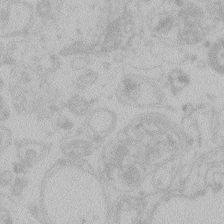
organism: Zebrafish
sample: Macrophage infected with Toxoplasma gondii